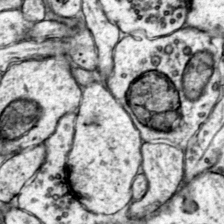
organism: Mouse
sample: Primary visual cortex